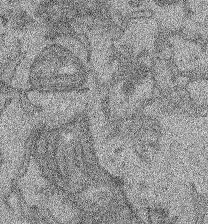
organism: Human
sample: HeLa cells